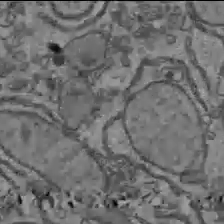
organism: C57BL Mouse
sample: Liver